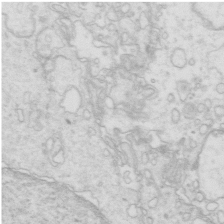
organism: Mouse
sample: Multiciliated cells